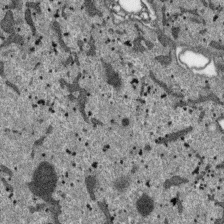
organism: Human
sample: Lung epithelial cells, uninfected (mock) control